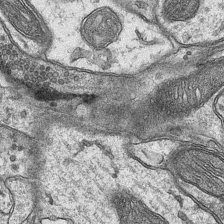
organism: Mouse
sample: CA1 Hippocampus